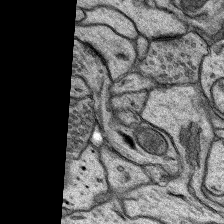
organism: Rat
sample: Hippocampus